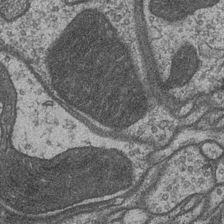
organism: Drosophila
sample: Optic medulla